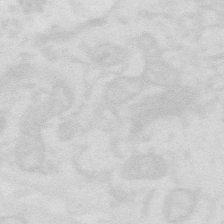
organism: Human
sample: HeLa cells